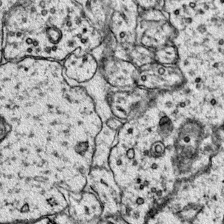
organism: Mouse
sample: Primary visual cortex